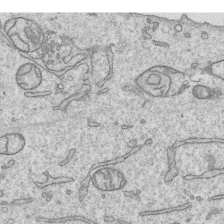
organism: Human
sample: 1205lu cells